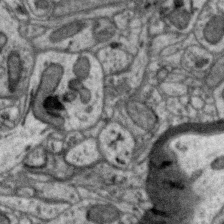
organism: Zebra finch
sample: Brain